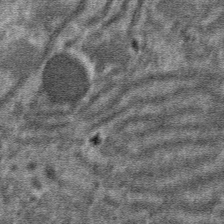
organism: Mouse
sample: Mouse hepatocytes